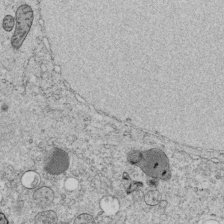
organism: C. elegans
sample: C. elegans embryo early stage